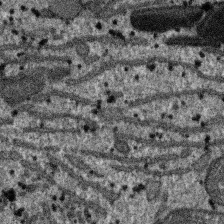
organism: Human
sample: Lung epithelial cells infected with SARS-CoV-2